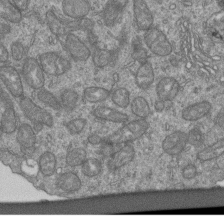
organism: Human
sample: Retinal organoid Rod and Cone cells